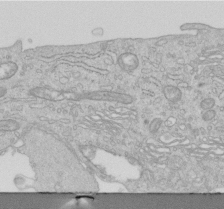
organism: Human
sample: Centriole in RPE cells